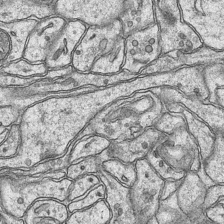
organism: Mouse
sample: CA1 Hippocampus